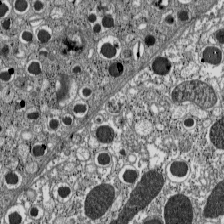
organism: C57BL Mouse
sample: Pancreatic islet